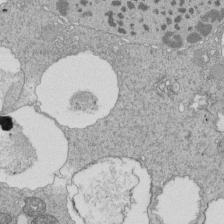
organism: Tetrahymena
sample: Cilia in tetrahymena